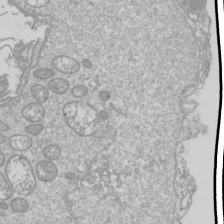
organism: Drosophila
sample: Cell division; meiosis; drosophila spermatocytes